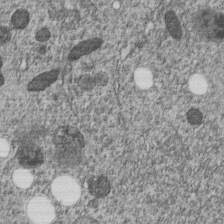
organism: C. elegans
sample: C. elegans embryo early stage